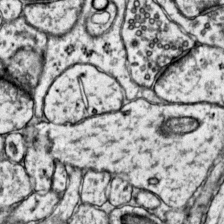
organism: Mouse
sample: Primary visual cortex